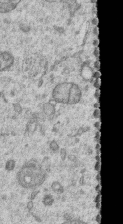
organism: Human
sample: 1205lu cells